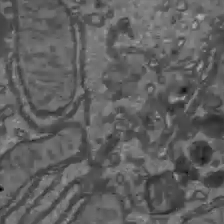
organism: C57BL Mouse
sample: Liver